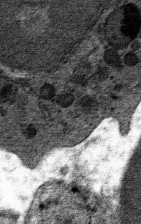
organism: Mouse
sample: Mouse hepatocytes